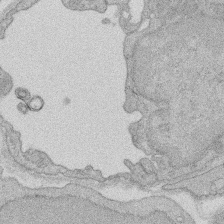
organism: Rat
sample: Salivary granule